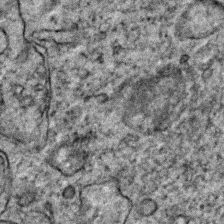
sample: Trachea